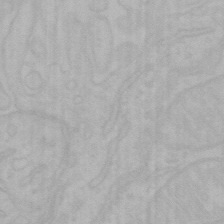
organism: Mouse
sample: Choroid plexus